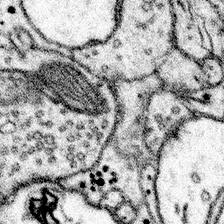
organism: Mouse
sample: Somatosensory cortex neuropil